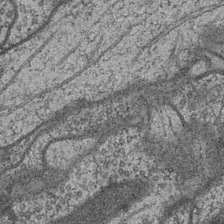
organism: Drosophila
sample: Optic medulla